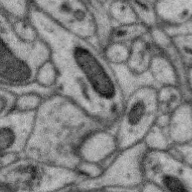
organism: Zebra finch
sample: Brain